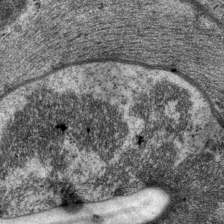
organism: P. pacificus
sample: Pharynx